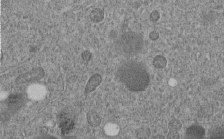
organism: C. elegans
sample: C. elegans embryo early stage